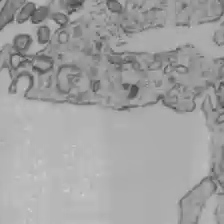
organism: C57BL Mouse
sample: Liver